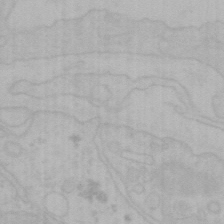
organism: Mouse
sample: Choroid plexus